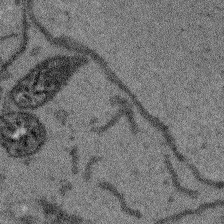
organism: Arabidopsis thaliana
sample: Root tip